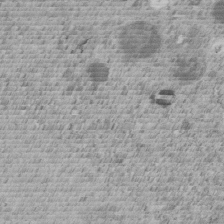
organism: C. elegans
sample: C. elegans embryo early stage